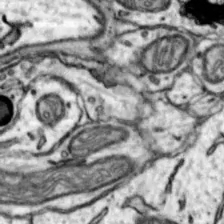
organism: Mouse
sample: Nucleus accumbens